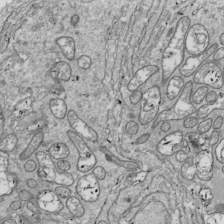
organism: Drosophila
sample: Cell division; meiosis; drosophila spermatocytes